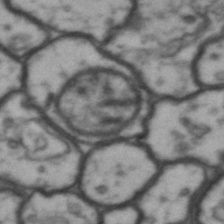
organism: Drosophila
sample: Brain